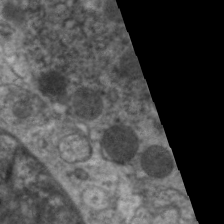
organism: C. elegans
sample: Pharynx